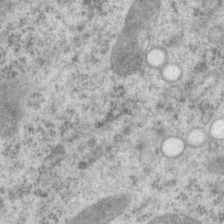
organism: P. pacificus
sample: Pharynx